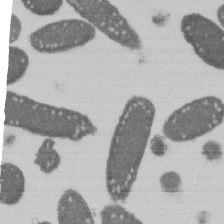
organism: E. coli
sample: Bacterial nucleoid